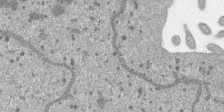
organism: Human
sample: Lung epithelial cells infected with SARS-CoV-2